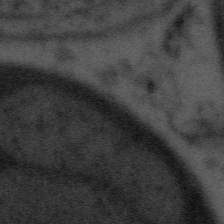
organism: Tuwongella immobilis